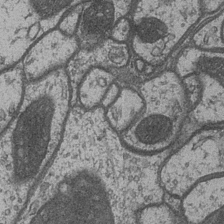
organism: Drosophila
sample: Optic medulla